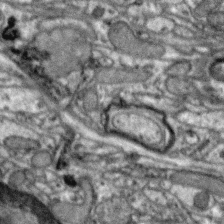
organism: Zebra finch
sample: Brain